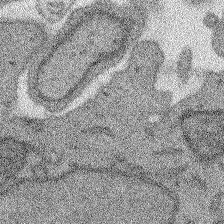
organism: Human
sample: HeLa cells